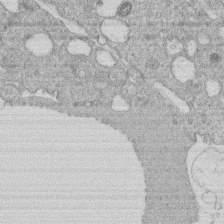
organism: Human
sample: Macrophage cells